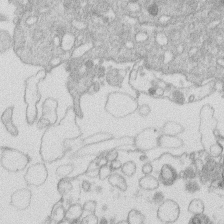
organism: Human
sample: Macrophage cells